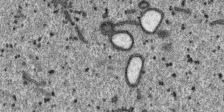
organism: Human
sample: Lung epithelial cells infected with SARS-CoV-2